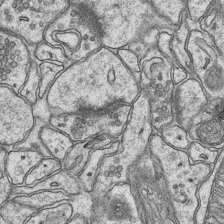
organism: Mouse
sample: CA1 Hippocampus